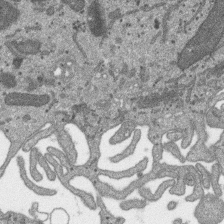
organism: Human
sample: Lung epithelial cells infected with SARS-CoV-2